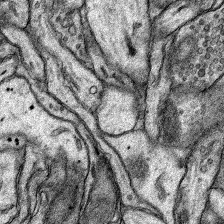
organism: Rat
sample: Hippocampus